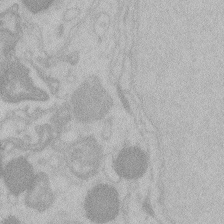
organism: Zebrafish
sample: Macrophage infected with Toxoplasma gondii